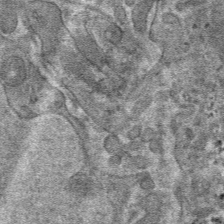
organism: Mouse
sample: Mouse hepatocytes